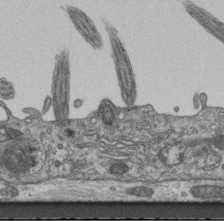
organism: Mouse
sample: Centriole in ependymal cells